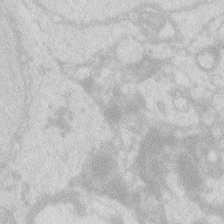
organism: Zebrafish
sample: Macrophage